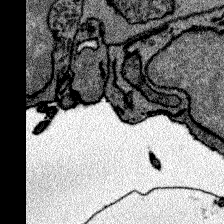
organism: Zebrafish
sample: Larval olfactory bulb